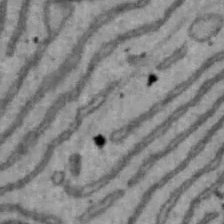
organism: Mouse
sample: Liver